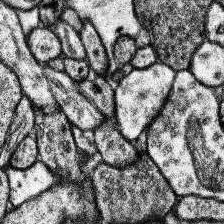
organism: Human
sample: Temporal Lobe